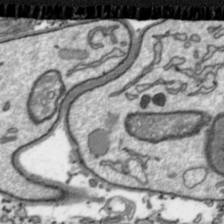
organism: Toxoplasma gondii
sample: Parasites in a vacuole inside a host cell